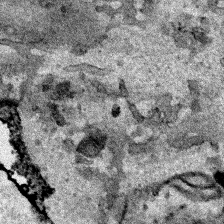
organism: Human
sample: Mitochondria in HCT116 cells